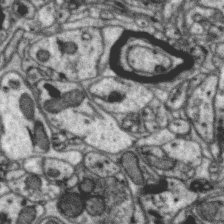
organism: Zebra finch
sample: Brain